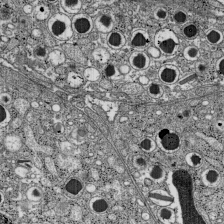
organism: C57BL Mouse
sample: Pancreatic islet